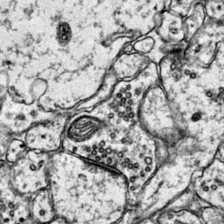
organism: Mouse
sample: Primary visual cortex